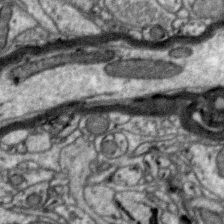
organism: Zebra finch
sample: Brain